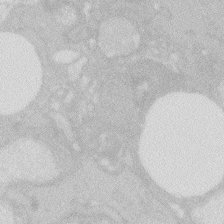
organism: Zebrafish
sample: Macrophage